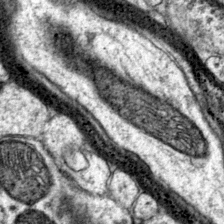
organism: Mouse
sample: Primary visual cortex